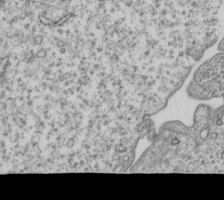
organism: Human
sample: MDA-MB-231 cells